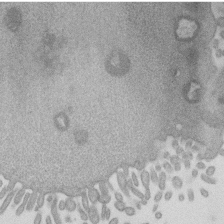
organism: Mouse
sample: Dividing mouse embryo 1 cell stage